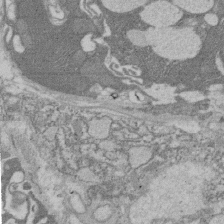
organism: Rat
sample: Salivary granule